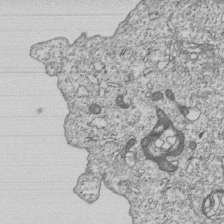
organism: Human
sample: MDA-MB-231 cells